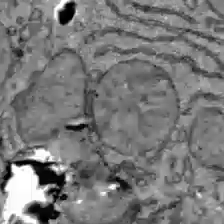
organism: C57BL Mouse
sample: Liver